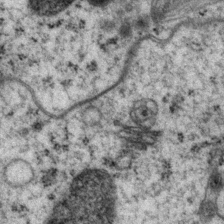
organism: P. pacificus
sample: Pharynx